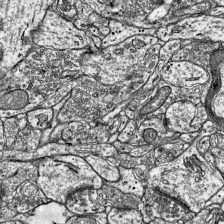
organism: Mouse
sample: Visual Cortex